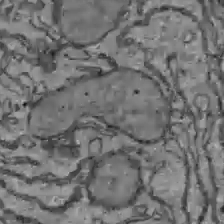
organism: C57BL Mouse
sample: Liver